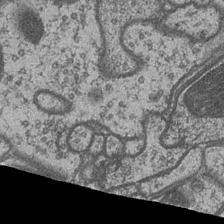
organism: Drosophila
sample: Optic medulla